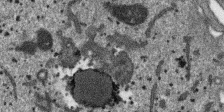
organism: Human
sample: Lung epithelial cells infected with SARS-CoV-2